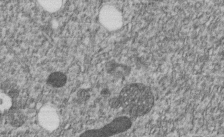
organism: C. elegans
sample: C. elegans embryo early stage